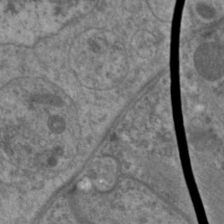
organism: C. elegans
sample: Pharynx